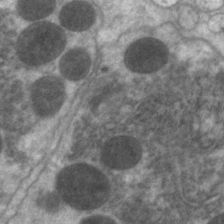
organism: C. elegans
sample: Pharynx